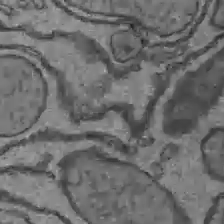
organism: C57BL Mouse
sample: Liver